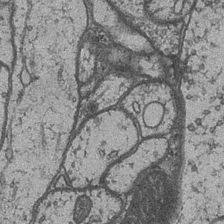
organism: Drosophila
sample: Optic medulla